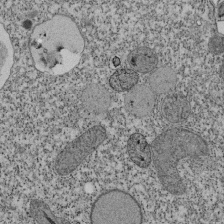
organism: Tetrahymena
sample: Cilia in tetrahymena